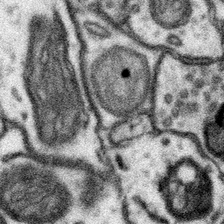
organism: Mouse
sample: Somatosensory cortex neuropil